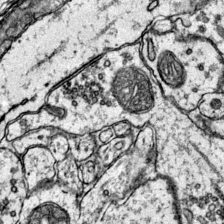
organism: Mouse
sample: Primary visual cortex